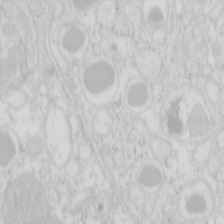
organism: Mouse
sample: Pancreas